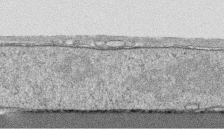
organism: Human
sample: CRL-1474